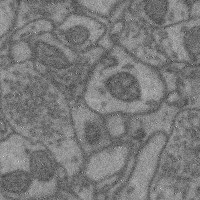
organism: Mouse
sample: Cerebral cortex